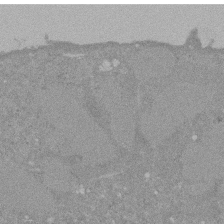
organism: Mouse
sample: ED-1 cell nuclei; centrioles